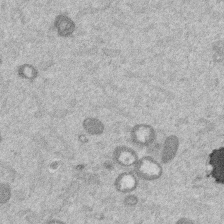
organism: Mouse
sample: Dividing mouse embryo 1 cell stage